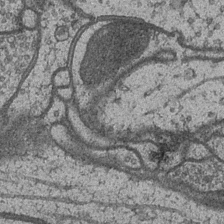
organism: Drosophila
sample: Optic medulla